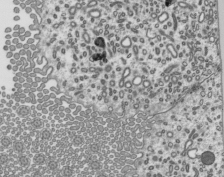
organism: Mouse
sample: Mouse epididymis efferent ductule cilia